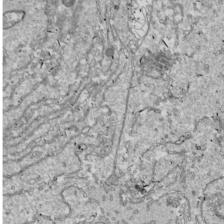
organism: Drosophila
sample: Cell division; meiosis; drosophila spermatocytes